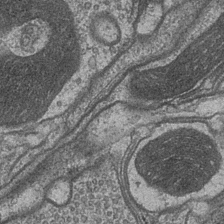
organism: Drosophila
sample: Optic medulla